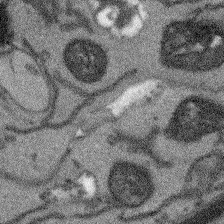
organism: Arabidopsis thaliana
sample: Root tip